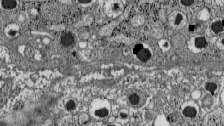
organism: C57BL Mouse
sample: Pancreatic islet